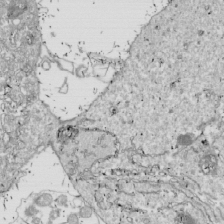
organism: Drosophila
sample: Cell division; meiosis; drosophila spermatocytes